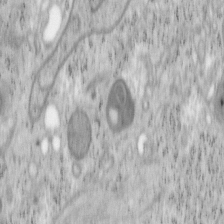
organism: Human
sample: HeLa cells